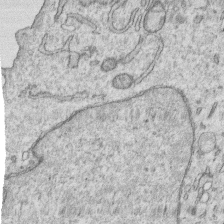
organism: Human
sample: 1205lu cells